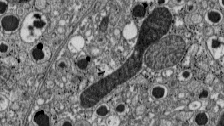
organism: C57BL Mouse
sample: Pancreatic islet